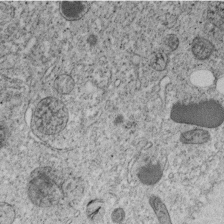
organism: C. elegans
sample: C. elegans embryo early stage